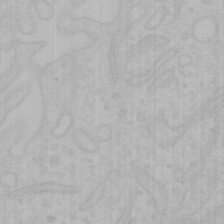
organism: Mouse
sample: Choroid plexus